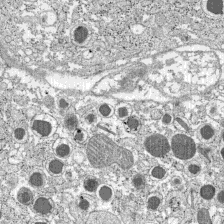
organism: C57BL Mouse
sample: Pancreatic islet